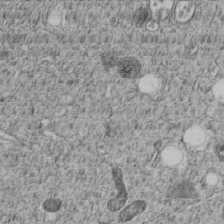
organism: C. elegans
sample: C. elegans embryo early stage